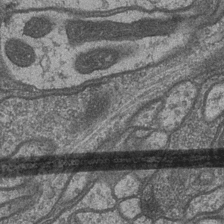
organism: Drosophila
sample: Optic medulla